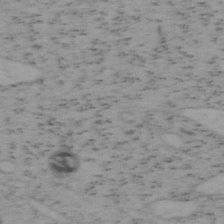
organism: Mouse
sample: OT-I killer T cells with ID8 ovarian cancer cells